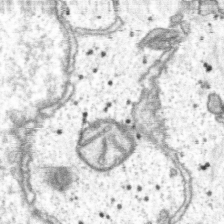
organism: Human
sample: HeLa cells